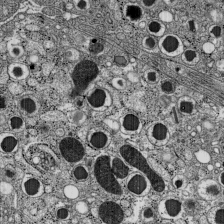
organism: C57BL Mouse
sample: Pancreatic islet